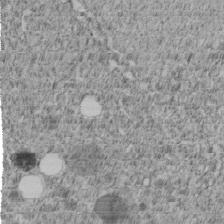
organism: C. elegans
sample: C. elegans embryo early stage